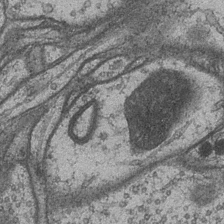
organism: Drosophila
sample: Optic medulla